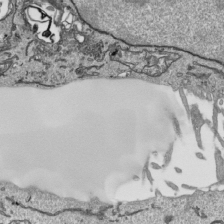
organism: Human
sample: Mitochondria in HCT116 cells